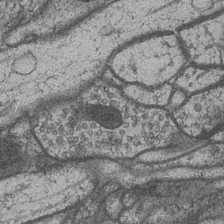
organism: Drosophila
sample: Optic medulla